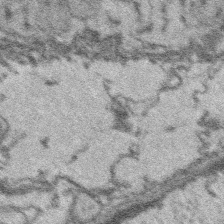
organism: Platynereis dumerilii